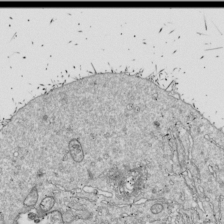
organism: Drosophila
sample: Cell division; meiosis; drosophila spermatocytes